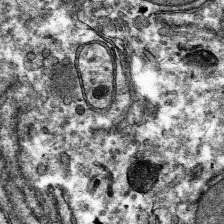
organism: Mouse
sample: Mouse hepatocytes